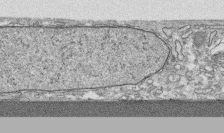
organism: Human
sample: CRL-1474